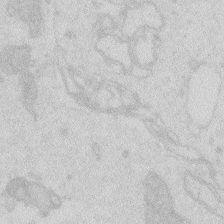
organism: Zebrafish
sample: Macrophage